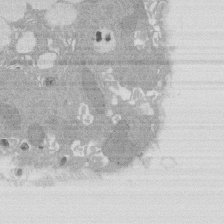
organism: Rat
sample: Salivary granule